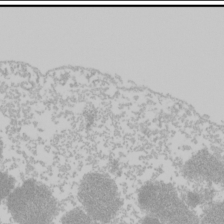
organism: Mouse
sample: Cancer cell death in ED-1 cells